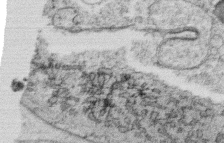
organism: C. elegans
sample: C. elegans oocyte; sperm cells